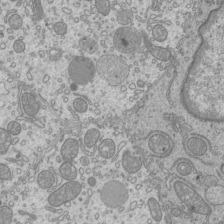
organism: Mouse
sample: Cilia; mouse epididymis